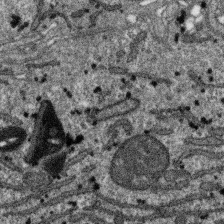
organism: Human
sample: Lung epithelial cells infected with SARS-CoV-2